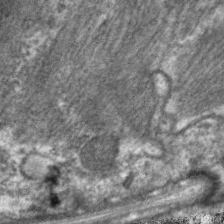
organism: C. elegans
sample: Pharynx